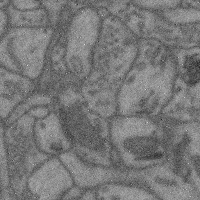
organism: Mouse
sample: Cerebral cortex